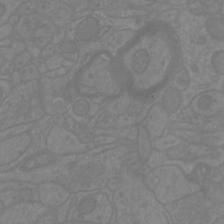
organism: Mouse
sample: Cortical neurons